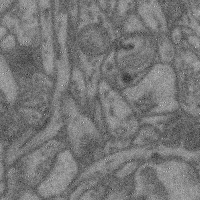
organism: Mouse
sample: Cerebral cortex